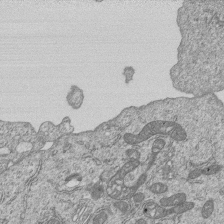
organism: Human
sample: MDA-MB-231 cells